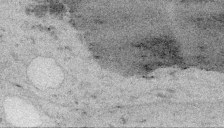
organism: Embia sp.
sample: Silk gland